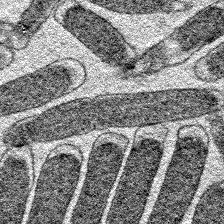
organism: E. coli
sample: E. Coli Bacteria